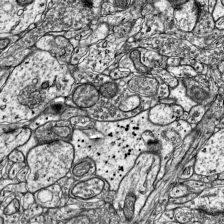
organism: Mouse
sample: Visual Cortex